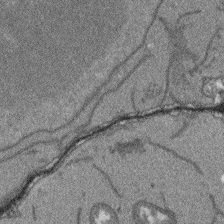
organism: Arabidopsis thaliana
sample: Root tip